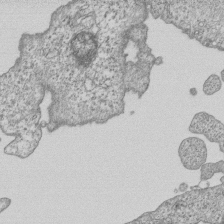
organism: Human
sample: MDA-MB-231 cells